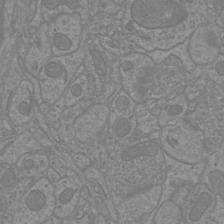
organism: Mouse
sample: Cortical neurons